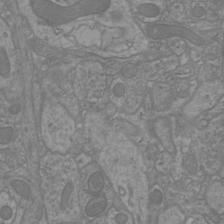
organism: Mouse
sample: Cortical neurons